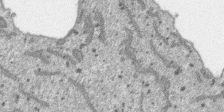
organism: Human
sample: Lung epithelial cells infected with SARS-CoV-2